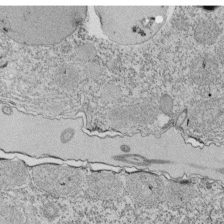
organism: Tetrahymena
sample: Cilia in tetrahymena